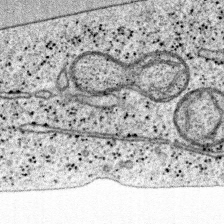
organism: Human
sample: HeLa cells